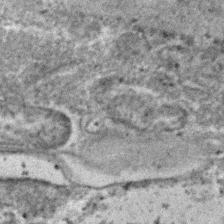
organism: C. elegans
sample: C. elegans embryo